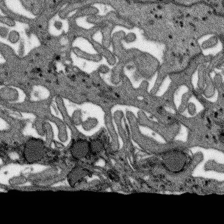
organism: Human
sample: Lung epithelial cells, uninfected (mock) control